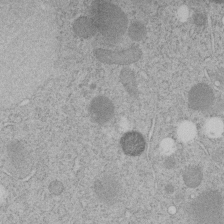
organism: C. elegans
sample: C. elegans embryo early stage